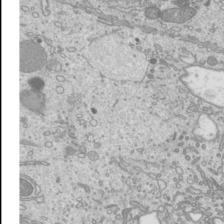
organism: Mouse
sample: Cilia; mouse epididymis